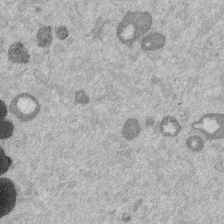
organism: Mouse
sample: Dividing mouse embryo 1 cell stage